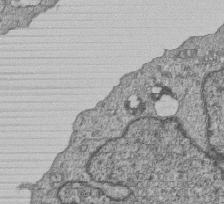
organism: Human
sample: MDA-MB-231 cells